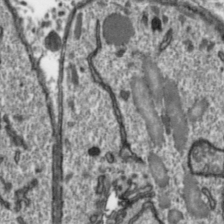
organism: Toxoplasma gondii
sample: Parasites in a vacuole inside a host cell